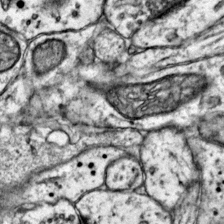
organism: Mouse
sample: Primary visual cortex